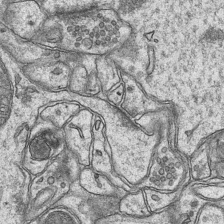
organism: Mouse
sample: CA1 Hippocampus